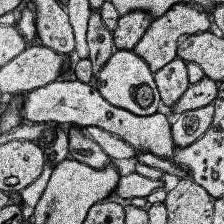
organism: Human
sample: Temporal Lobe